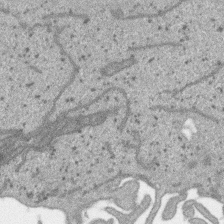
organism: Human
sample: Lung epithelial cells infected with SARS-CoV-2